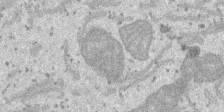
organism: Human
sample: Lung epithelial cells infected with SARS-CoV-2